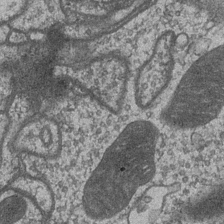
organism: Drosophila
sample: Optic medulla